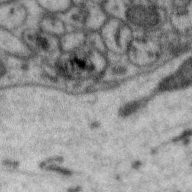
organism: Zebra finch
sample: Brain